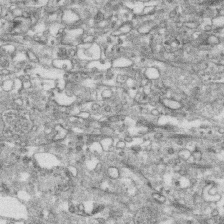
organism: Human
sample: CRL-1474